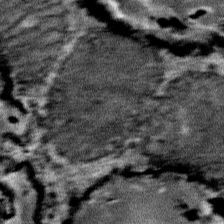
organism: Mouse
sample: Mouse Salivary gland